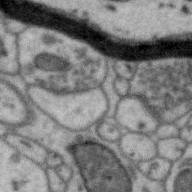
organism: Zebra finch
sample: Brain